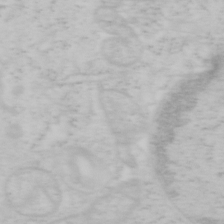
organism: Mouse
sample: OT-I killer T cells with ID8 ovarian cancer cells